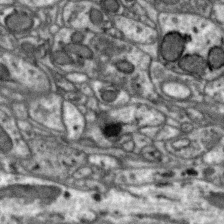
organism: Zebra finch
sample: Brain